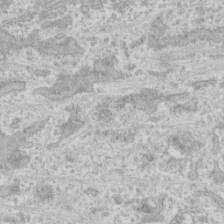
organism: Human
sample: CRL-1474